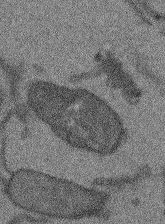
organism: Arabidopsis thaliana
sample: Root tip